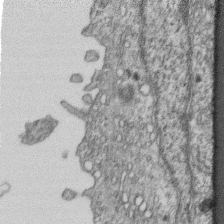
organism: Mouse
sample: Centriole in ependymal cells